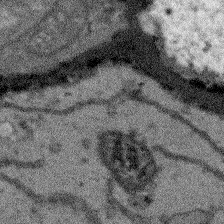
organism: Arabidopsis thaliana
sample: Root tip